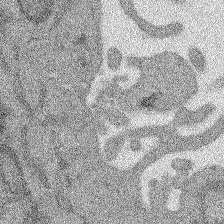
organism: Human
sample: HeLa cells